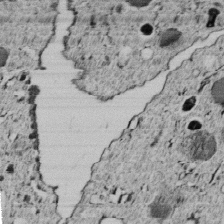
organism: C. elegans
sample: C. elegans embryo early stage